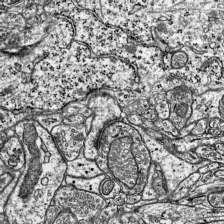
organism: Mouse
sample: Visual Cortex